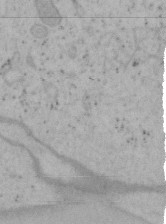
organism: Human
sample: HeLa cells